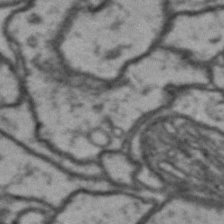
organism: Drosophila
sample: Brain